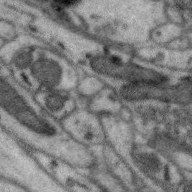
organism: Zebra finch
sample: Brain